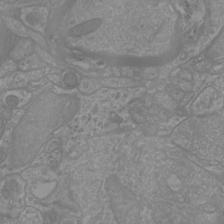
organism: Mouse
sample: Cortical neurons